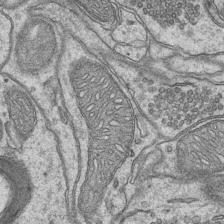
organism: Mouse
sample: CA1 Hippocampus